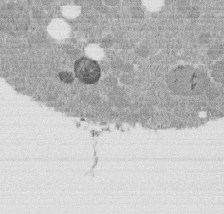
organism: C. elegans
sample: C. elegans embryo early stage